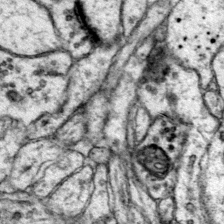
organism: Mouse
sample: Primary visual cortex